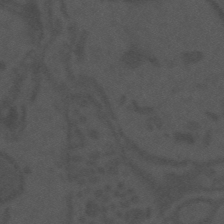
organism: Mouse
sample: Suprachiasmatic nucleus